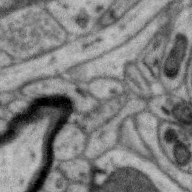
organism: Zebra finch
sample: Brain